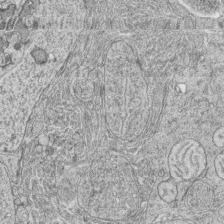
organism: Zebrafish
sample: synaptic ribbons in rod cells and cone cells